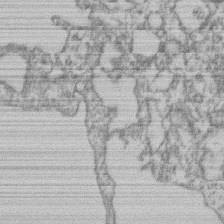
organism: Mouse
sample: T cell stromal cell synapse